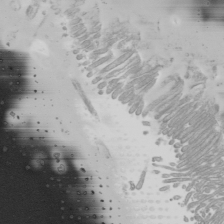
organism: Mouse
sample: Cilia; mouse epididymis